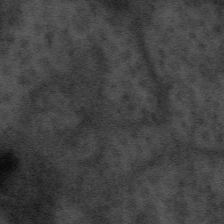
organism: Tuwongella immobilis